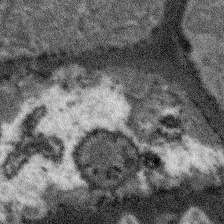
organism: Arabidopsis thaliana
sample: Root tip